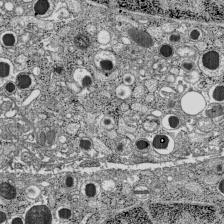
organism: C57BL Mouse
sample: Pancreatic islet